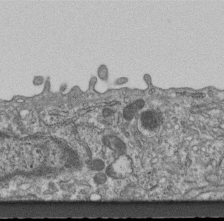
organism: Mouse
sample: Centriole in ependymal cells